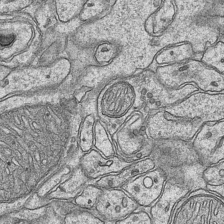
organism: Mouse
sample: CA1 Hippocampus